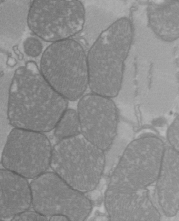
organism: C57BL Mouse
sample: Heart